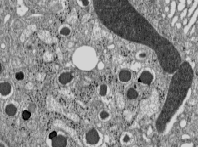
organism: C57BL Mouse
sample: Pancreatic islet